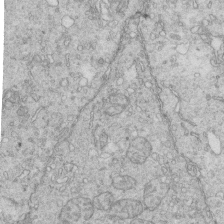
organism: Mouse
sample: Multiciliated cells